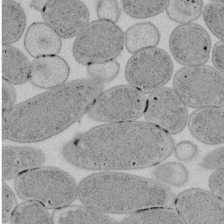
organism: E. coli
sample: Bacterial nucleoid